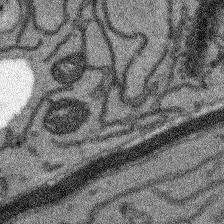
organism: Arabidopsis thaliana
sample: Root tip